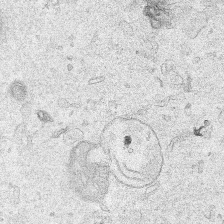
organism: Human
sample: Mitochondria in HCT116 cells